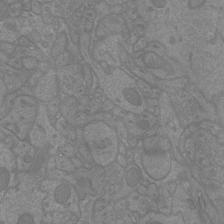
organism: Mouse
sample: Cortical neurons